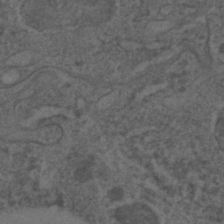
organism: C. elegans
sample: C. elegans embryo